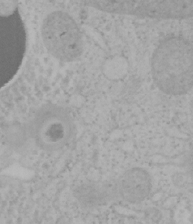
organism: Mouse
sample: OT-I killer T cells with ID8 ovarian cancer cells